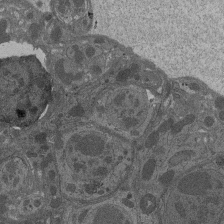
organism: Drosophila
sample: Antenna